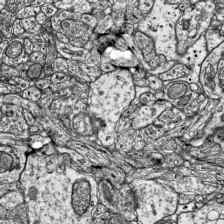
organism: Mouse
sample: Visual Cortex